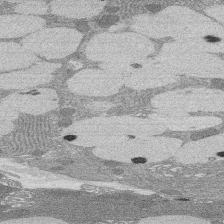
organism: Rat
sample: Salivary granule